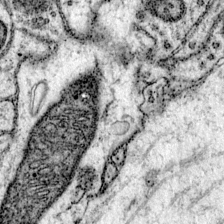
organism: Mouse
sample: Primary visual cortex